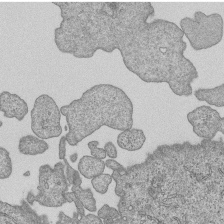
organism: Human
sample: MDA-MB-231 cells